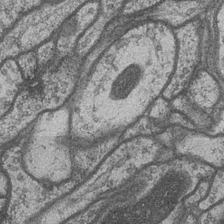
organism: Drosophila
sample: Optic medulla